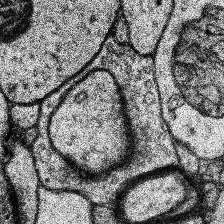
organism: Human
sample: Temporal Lobe